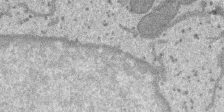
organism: Human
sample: Lung epithelial cells infected with SARS-CoV-2